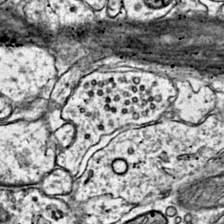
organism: Mouse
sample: Primary visual cortex